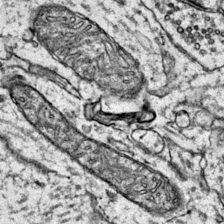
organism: Mouse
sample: Primary visual cortex